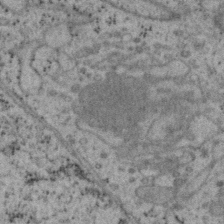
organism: Human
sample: HeLa cells